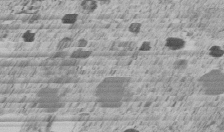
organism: C. elegans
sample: C. elegans embryo early stage